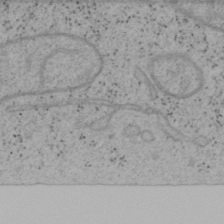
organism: Human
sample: HeLa cells